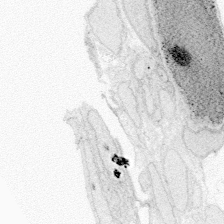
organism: Zebrafish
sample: Whole-Brain